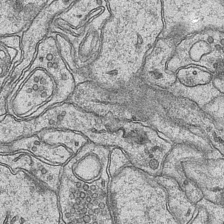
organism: Mouse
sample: CA1 Hippocampus